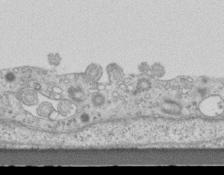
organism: Mouse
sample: Centriole in ependymal cells